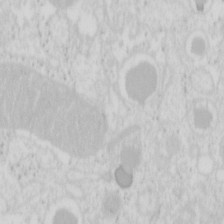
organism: Mouse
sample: Pancreas